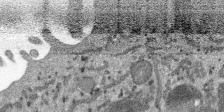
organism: Human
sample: Lung epithelial cells infected with SARS-CoV-2